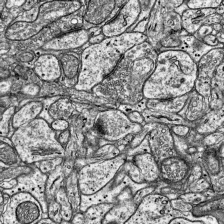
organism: Mouse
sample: Visual Cortex